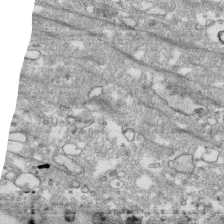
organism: Human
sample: CRL-1474